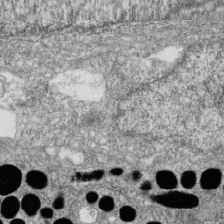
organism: Zebrafish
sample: Cilia; retinal pigment epithelium